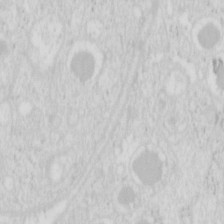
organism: Mouse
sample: Pancreas